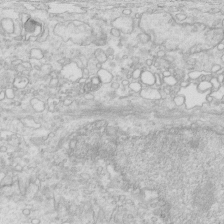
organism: Mouse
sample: Multiciliated cells